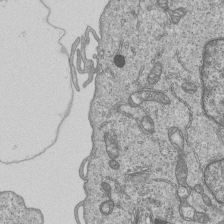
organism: Human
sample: MDA-MB-231 cells